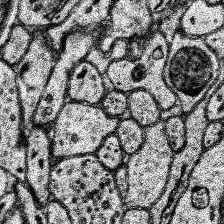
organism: Human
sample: Temporal Lobe